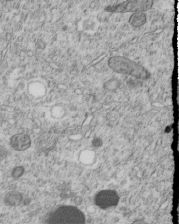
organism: C. elegans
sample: C. elegans embryo early stage